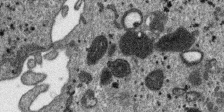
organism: Human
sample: Lung epithelial cells infected with SARS-CoV-2